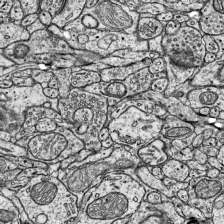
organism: Mouse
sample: Visual Cortex